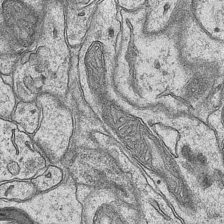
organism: Mouse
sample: CA1 Hippocampus